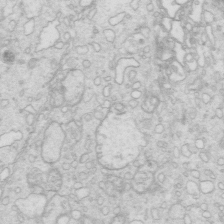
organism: Mouse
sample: Multiciliated cells